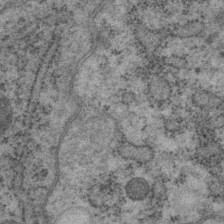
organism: P. pacificus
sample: Pharynx